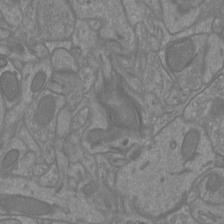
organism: Mouse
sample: Cortical neurons